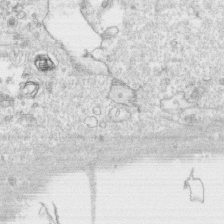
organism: Human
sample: CRL-1474